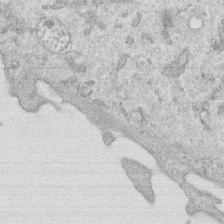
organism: Human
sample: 1205lu cells